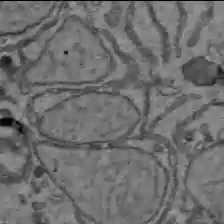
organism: C57BL Mouse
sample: Liver